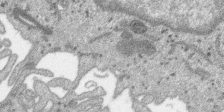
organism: Human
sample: Lung epithelial cells infected with SARS-CoV-2